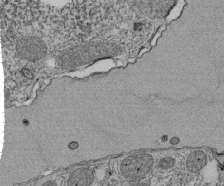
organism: Tetrahymena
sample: Cilia in tetrahymena